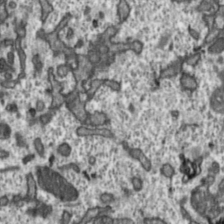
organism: Toxoplasma gondii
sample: Parasites in a vacuole inside a host cell